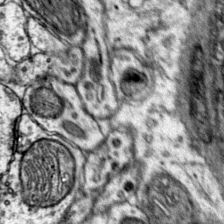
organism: Mouse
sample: Primary visual cortex